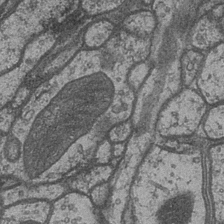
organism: Drosophila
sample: Optic medulla